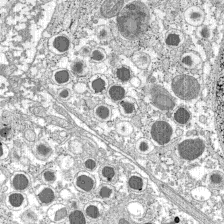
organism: C57BL Mouse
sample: Pancreatic islet